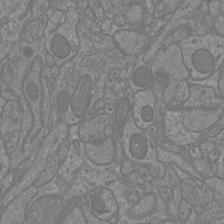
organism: Mouse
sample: Cortical neurons